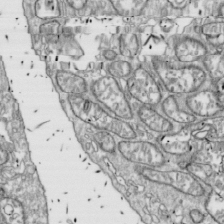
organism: Drosophila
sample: Cell division; meiosis; drosophila spermatocytes